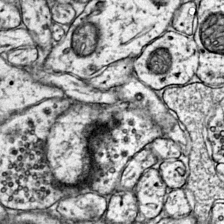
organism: Mouse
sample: Primary visual cortex